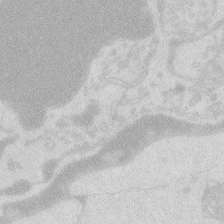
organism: Zebrafish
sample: Macrophage